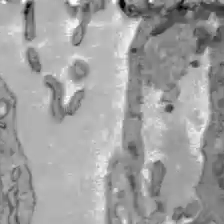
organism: C57BL Mouse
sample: Liver